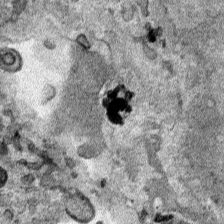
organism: Human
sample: Mitochondria in HCT116 cells